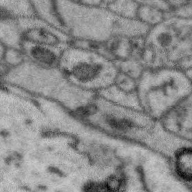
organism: Zebra finch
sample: Brain